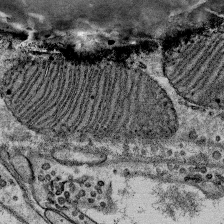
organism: Mouse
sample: Mouse Salivary gland